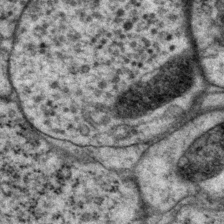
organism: P. pacificus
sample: Pharynx